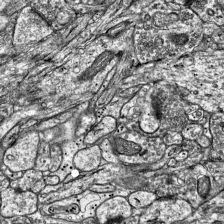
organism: Mouse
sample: Visual Cortex